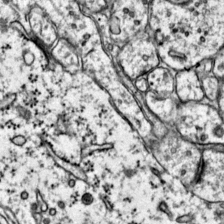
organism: Mouse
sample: Primary visual cortex